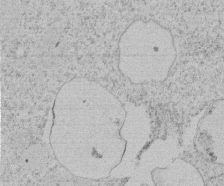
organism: Tetrahymena